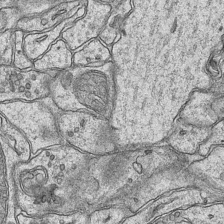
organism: Mouse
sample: CA1 Hippocampus